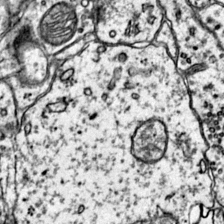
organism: Mouse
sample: Primary visual cortex